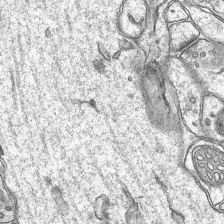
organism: Mouse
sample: CA1 Hippocampus